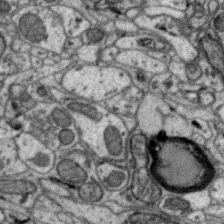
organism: Zebra finch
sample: Brain